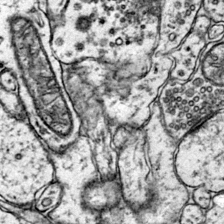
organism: Mouse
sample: Primary visual cortex